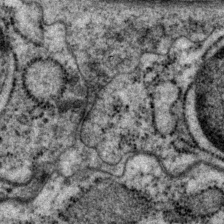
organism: P. pacificus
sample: Pharynx